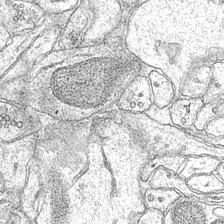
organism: Mouse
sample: CA1 Hippocampus